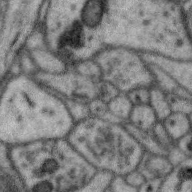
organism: Zebra finch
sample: Brain